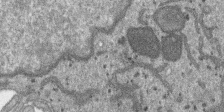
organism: Human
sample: Lung epithelial cells infected with SARS-CoV-2